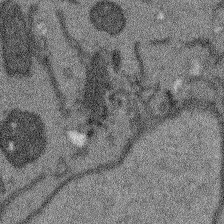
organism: Arabidopsis thaliana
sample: Root tip